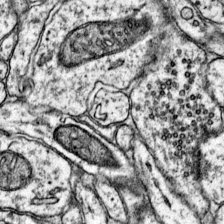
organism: Mouse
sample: Primary visual cortex